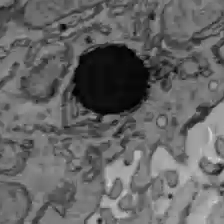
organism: C57BL Mouse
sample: Liver